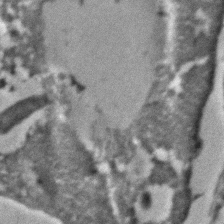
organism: C. elegans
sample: C. elegans embryo